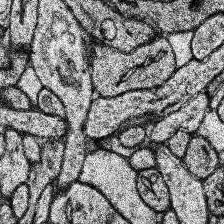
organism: Human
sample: Temporal Lobe